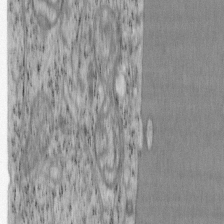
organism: Human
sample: HeLa cells